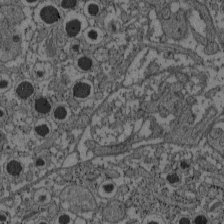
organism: C57BL Mouse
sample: Pancreatic islet